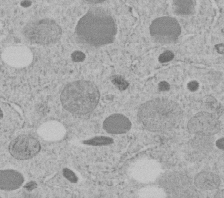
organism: C. elegans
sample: C. elegans embryo early stage